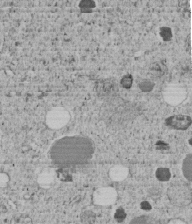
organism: C. elegans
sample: C. elegans embryo early stage